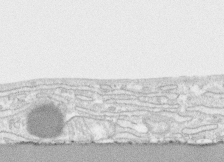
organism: Human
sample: CRL-1474